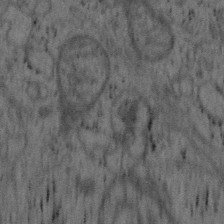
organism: Human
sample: HeLa cells